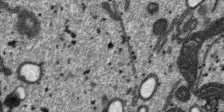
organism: Human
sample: Lung epithelial cells infected with SARS-CoV-2